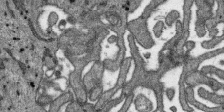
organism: Human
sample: Lung epithelial cells, uninfected (mock) control